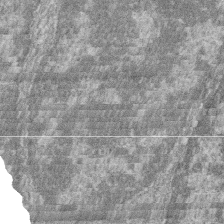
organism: Zebrafish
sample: Cilia; retinal pigment epithelium